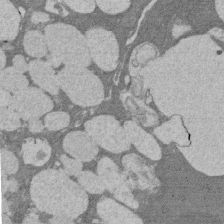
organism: Rat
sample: Salivary granule